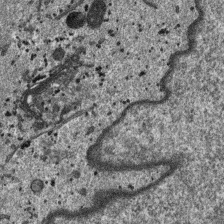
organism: Human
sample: Lung epithelial cells infected with SARS-CoV-2